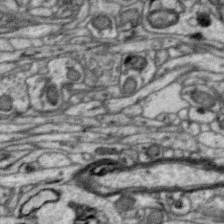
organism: Zebra finch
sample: Brain